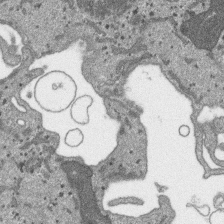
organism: Human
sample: Lung epithelial cells infected with SARS-CoV-2